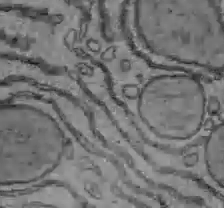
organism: C57BL Mouse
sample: Liver